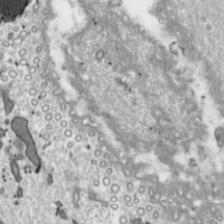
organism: Toxoplasma gondii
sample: Parasites in a vacuole inside a host cell